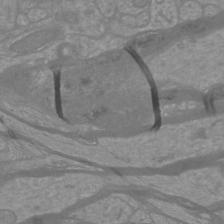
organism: Mouse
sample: Cortical neurons